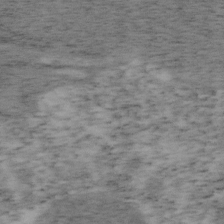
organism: Mouse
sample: OT-I killer T cells with ID8 ovarian cancer cells